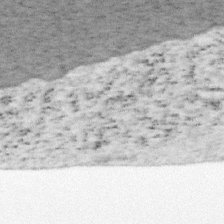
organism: Mouse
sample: OT-I killer T cells with ID8 ovarian cancer cells